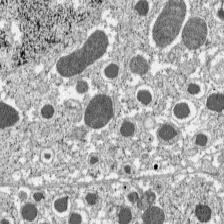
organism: C57BL Mouse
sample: Pancreatic islet